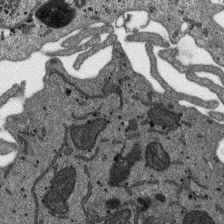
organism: Human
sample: Lung epithelial cells infected with SARS-CoV-2